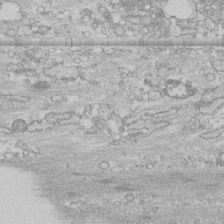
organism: Human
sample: CRL-1474